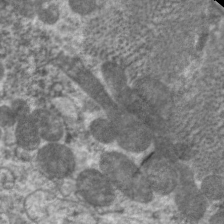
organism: C. elegans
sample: Pharynx